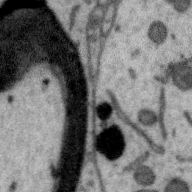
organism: Zebra finch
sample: Brain